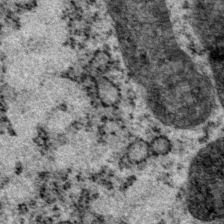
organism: P. pacificus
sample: Pharynx